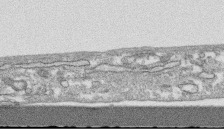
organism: Human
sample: CRL-1474